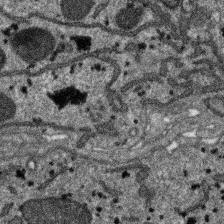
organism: Human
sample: Lung epithelial cells infected with SARS-CoV-2